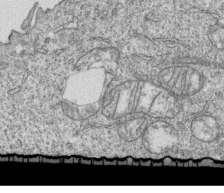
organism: Human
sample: HeLa cell HIV synapse